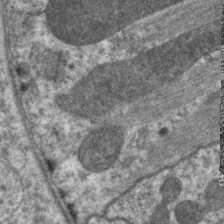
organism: C. elegans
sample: Pharynx